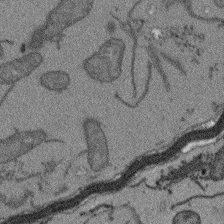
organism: Arabidopsis thaliana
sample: Root tip